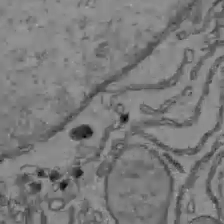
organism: C57BL Mouse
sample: Liver